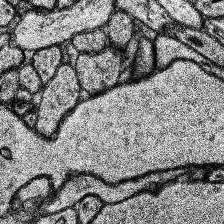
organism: Human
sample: Temporal Lobe